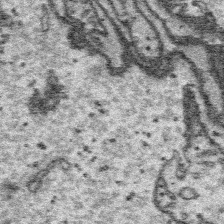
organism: Platynereis dumerilii